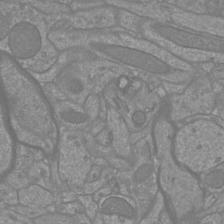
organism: Mouse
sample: Cortical neurons